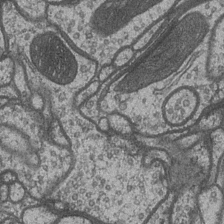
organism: Drosophila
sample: Optic medulla